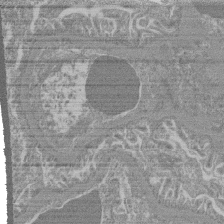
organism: Mouse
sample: Glomerulus